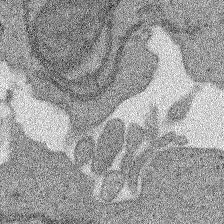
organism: Human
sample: HeLa cells